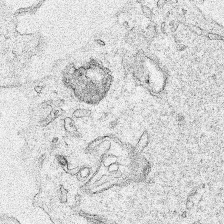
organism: Human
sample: Mitochondria in HCT116 cells